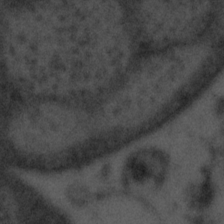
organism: Tuwongella immobilis